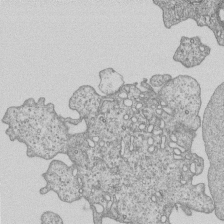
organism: Human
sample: MDA-MB-231 cells